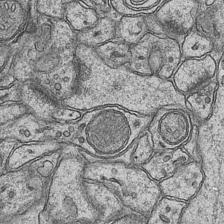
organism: Mouse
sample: CA1 Hippocampus